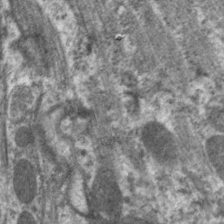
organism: C. elegans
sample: Pharynx